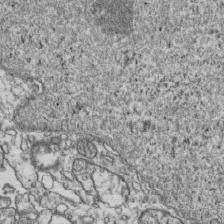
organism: Human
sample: Activated Jurkat CD4+ T cells